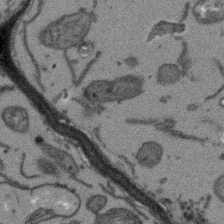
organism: Arabidopsis thaliana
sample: Root tip